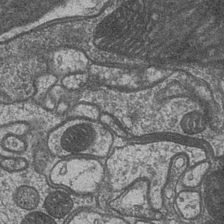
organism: Drosophila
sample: Optic medulla